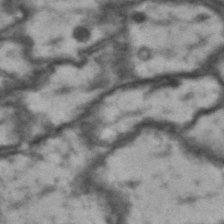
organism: Drosophila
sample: Brain